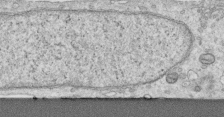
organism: Human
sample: Centriole in RPE cells